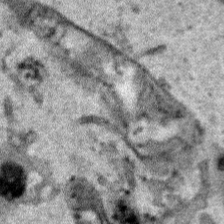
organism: Human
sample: Mitochondria in HCT116 cells